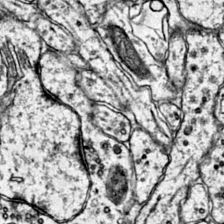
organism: Mouse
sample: Primary visual cortex